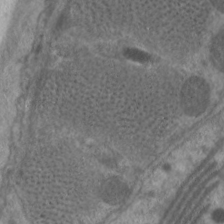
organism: C. elegans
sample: Pharynx